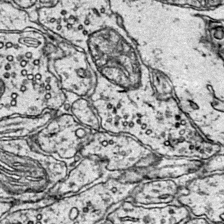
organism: Mouse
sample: Primary visual cortex